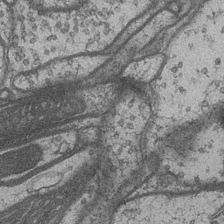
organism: Drosophila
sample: Optic medulla